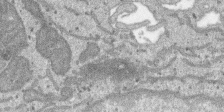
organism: Human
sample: Lung epithelial cells infected with SARS-CoV-2